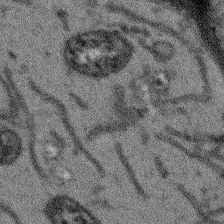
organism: Arabidopsis thaliana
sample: Root tip